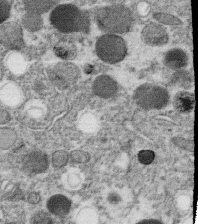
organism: C. elegans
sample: C. elegans oocyte; sperm cells